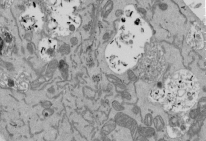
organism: Mouse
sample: ED-1 cell nuclei; centrioles